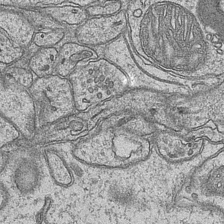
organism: Mouse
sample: CA1 Hippocampus